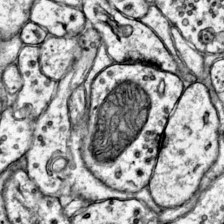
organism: Mouse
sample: Primary visual cortex